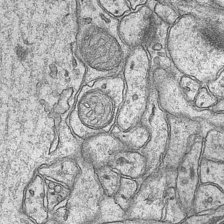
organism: Mouse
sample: CA1 Hippocampus